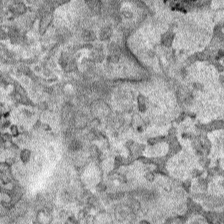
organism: Human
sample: Mitochondria in HCT116 cells